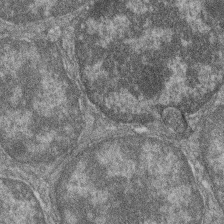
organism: Zebrafish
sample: Cilia; retinal pigment epithelium